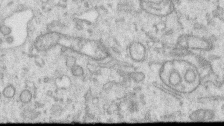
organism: Human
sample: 1205lu cells